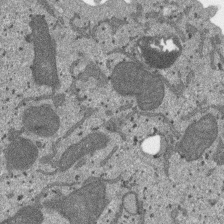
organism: Human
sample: Lung epithelial cells infected with SARS-CoV-2